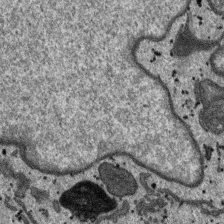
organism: Human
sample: Lung epithelial cells, uninfected (mock) control